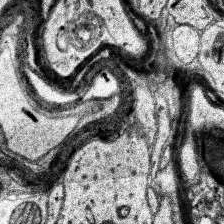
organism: Human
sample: Temporal Lobe